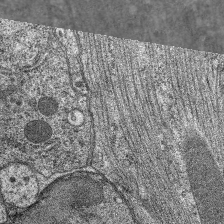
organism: C. elegans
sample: Pharynx